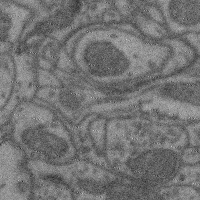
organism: Mouse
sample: Cerebral cortex